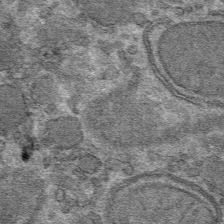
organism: Mouse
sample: Mouse hepatocytes